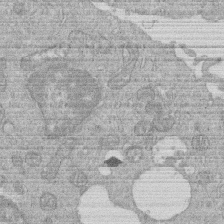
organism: Human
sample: Macrophage cells